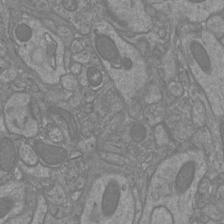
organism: Mouse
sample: Cortical neurons